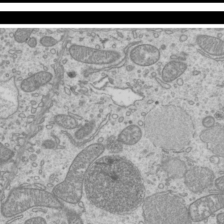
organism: Mouse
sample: Cilia; mouse epididymis